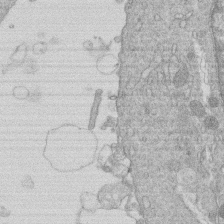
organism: Human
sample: Macrophage cells